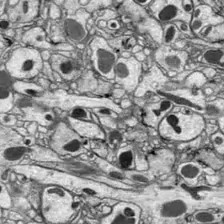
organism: Drosophila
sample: Optic lobe